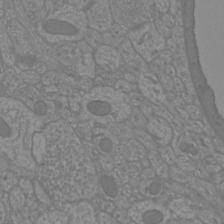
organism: Mouse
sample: Cortical neurons